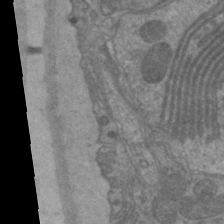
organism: C. elegans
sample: Pharynx